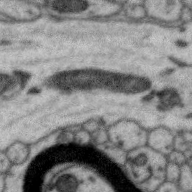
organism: Zebra finch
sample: Brain